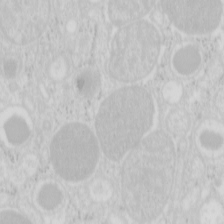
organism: Mouse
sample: Pancreas